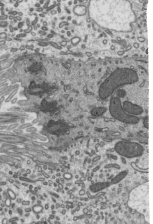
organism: Mouse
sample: Mouse epididymis efferent ductule cilia